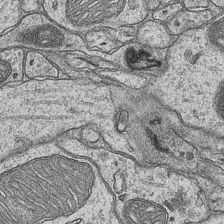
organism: Mouse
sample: CA1 Hippocampus